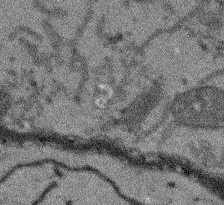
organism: Arabidopsis thaliana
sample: Root tip